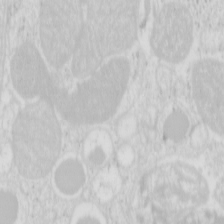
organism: Mouse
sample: Pancreas